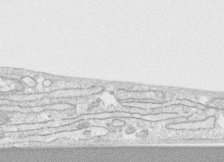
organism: Human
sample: CRL-1474